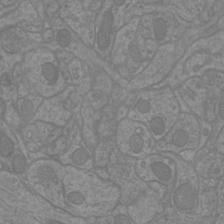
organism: Mouse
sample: Cortical neurons